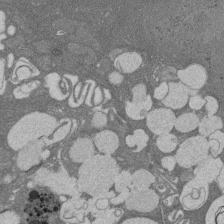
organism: Rat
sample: Salivary granule